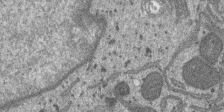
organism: Human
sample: Lung epithelial cells infected with SARS-CoV-2